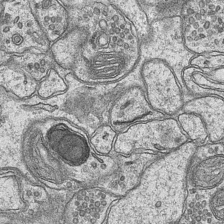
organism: Mouse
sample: CA1 Hippocampus